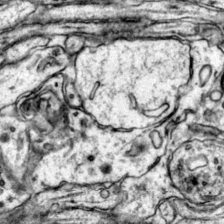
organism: Mouse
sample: Primary visual cortex